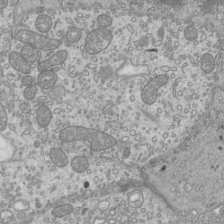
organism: Mouse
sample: Cilia; mouse epididymis